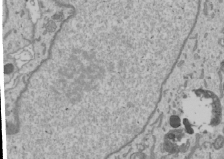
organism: Human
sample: Mitochondria in U2OS cells